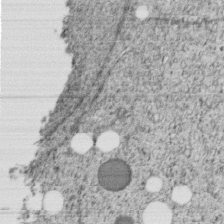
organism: C. elegans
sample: C. elegans embryo early stage